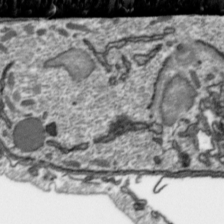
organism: Toxoplasma gondii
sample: Parasites in a vacuole inside a host cell